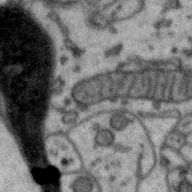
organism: Zebra finch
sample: Brain